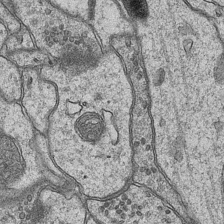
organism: Mouse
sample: CA1 Hippocampus